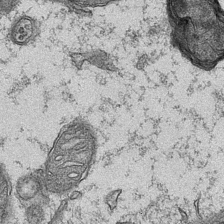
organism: Mouse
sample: CA1 Hippocampus